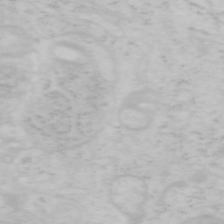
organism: Mouse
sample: OT-I killer T cells with ID8 ovarian cancer cells